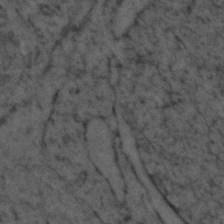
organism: Zebrafish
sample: Zebrafish embryo